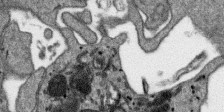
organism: Human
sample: Lung epithelial cells, uninfected (mock) control